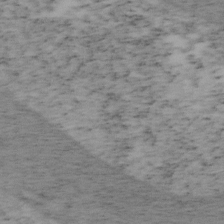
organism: Mouse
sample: OT-I killer T cells with ID8 ovarian cancer cells